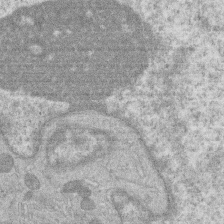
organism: Human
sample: Macrophage cells